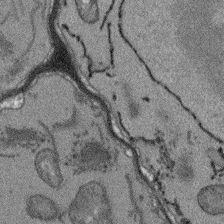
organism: Arabidopsis thaliana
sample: Root tip